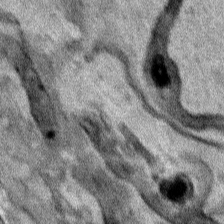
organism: Human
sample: Mitochondria in HCT116 cells